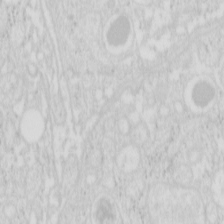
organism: Mouse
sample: Pancreas